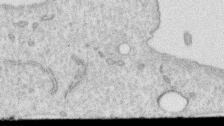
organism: Human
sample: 1205lu cells